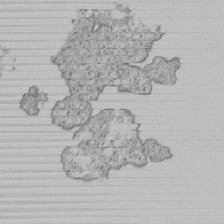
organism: Human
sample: MDA-MB-231 cells